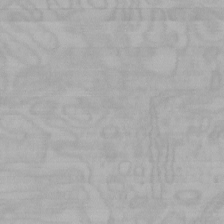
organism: Mouse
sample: Choroid plexus